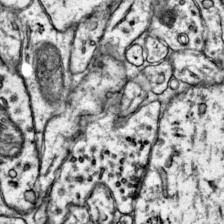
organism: Mouse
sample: Primary visual cortex